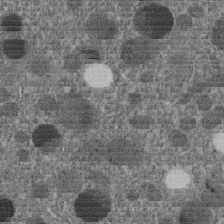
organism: C. elegans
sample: C. elegans embryo early stage